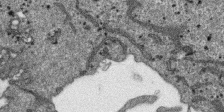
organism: Human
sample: Lung epithelial cells infected with SARS-CoV-2